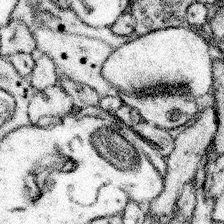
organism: Mouse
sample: Somatosensory cortex neuropil